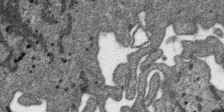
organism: Human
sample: Lung epithelial cells infected with SARS-CoV-2